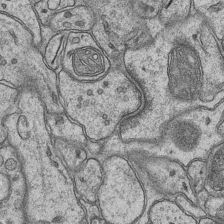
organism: Mouse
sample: CA1 Hippocampus